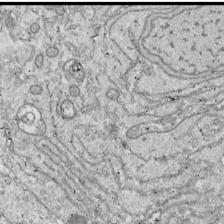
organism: Drosophila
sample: Cell division; meiosis; drosophila spermatocytes